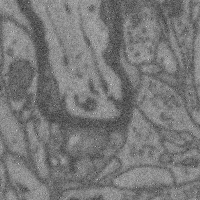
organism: Mouse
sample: Cerebral cortex